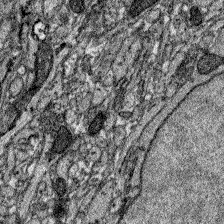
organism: Zebrafish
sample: Larval olfactory bulb